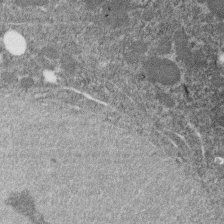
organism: C. elegans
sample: C. elegans embryo early stage